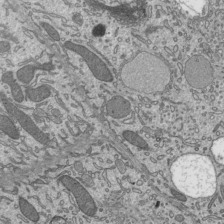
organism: Mouse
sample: Mouse epididymis efferent ductule cilia